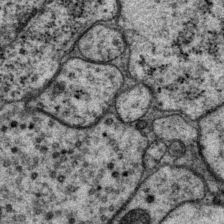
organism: P. pacificus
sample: Pharynx